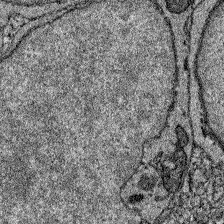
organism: Zebrafish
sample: Larval olfactory bulb